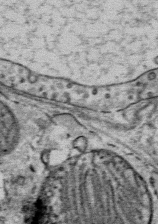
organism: Mouse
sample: Mouse Salivary gland